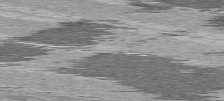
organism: C57BL Mouse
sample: Heart